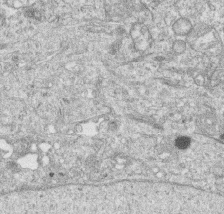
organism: Human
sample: HeLa cell HIV synapse